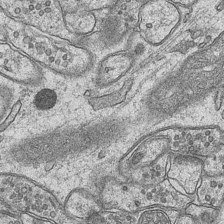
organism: Mouse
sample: CA1 Hippocampus